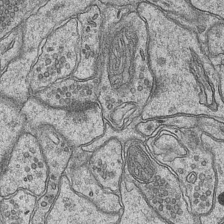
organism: Mouse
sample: CA1 Hippocampus